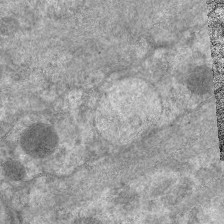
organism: C. elegans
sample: Pharynx